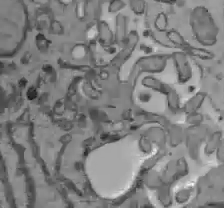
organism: C57BL Mouse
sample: Liver